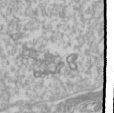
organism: Drosophila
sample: Cell division; meiosis; drosophila spermatocytes